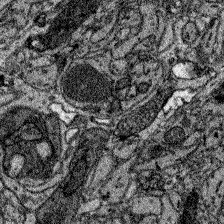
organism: Zebrafish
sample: Larval olfactory bulb